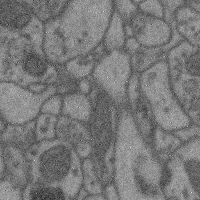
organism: Mouse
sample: Cerebral cortex